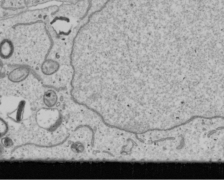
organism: Human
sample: Mitochondria in U2OS cells